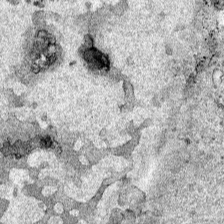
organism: Human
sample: Mitochondria in HCT116 cells